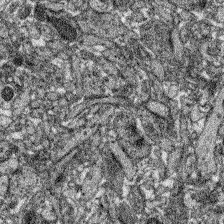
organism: Zebrafish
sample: Larval olfactory bulb